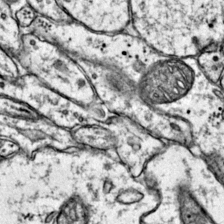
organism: Mouse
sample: Primary visual cortex